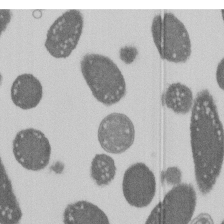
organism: E. coli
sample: Bacterial nucleoid